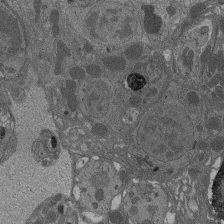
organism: Drosophila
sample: Antenna